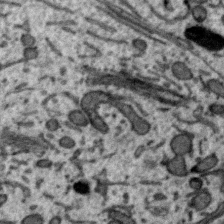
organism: Zebra finch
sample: Brain